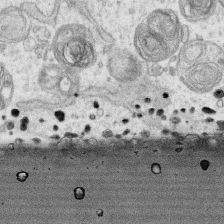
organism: Human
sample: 1205lu cells